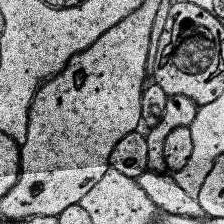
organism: Human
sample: Temporal Lobe